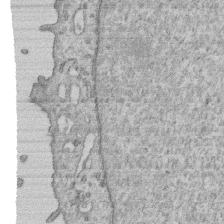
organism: Human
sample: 1205lu cells